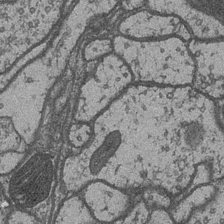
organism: Drosophila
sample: Optic medulla